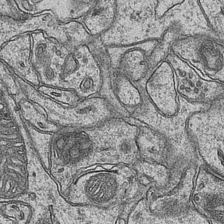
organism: Mouse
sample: CA1 Hippocampus